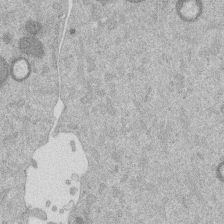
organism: Mouse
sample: Dividing mouse embryo 1 cell stage